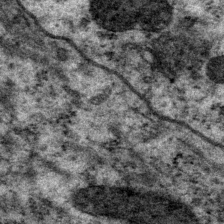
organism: P. pacificus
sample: Pharynx